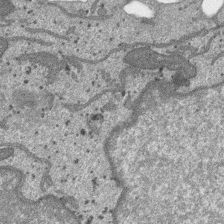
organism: Human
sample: Lung epithelial cells infected with SARS-CoV-2